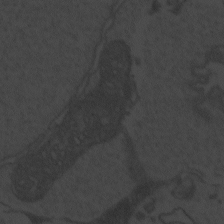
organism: Zebrafish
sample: Macrophage infected with Toxoplasma gondii